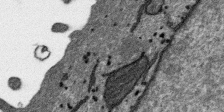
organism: Human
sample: Lung epithelial cells, uninfected (mock) control